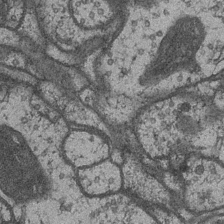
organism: Drosophila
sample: Optic medulla